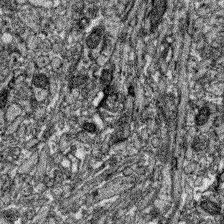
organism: Zebrafish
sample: Larval olfactory bulb